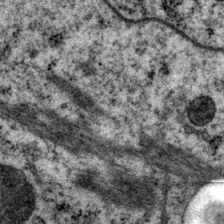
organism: P. pacificus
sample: Pharynx